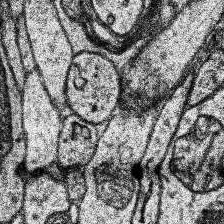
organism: Human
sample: Temporal Lobe